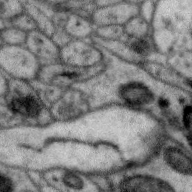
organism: Zebra finch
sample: Brain